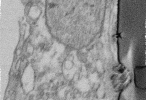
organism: Human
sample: Centriole in fibroblast cells